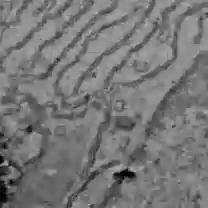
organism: C57BL Mouse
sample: Liver